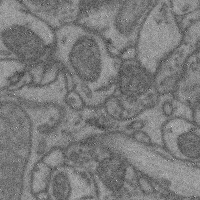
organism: Mouse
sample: Cerebral cortex